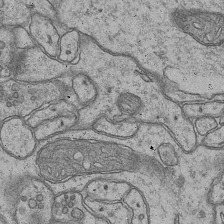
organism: Mouse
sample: CA1 Hippocampus